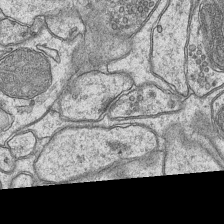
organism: Mouse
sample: CA1 Hippocampus